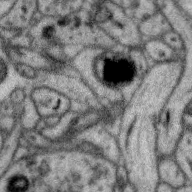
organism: Zebra finch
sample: Brain